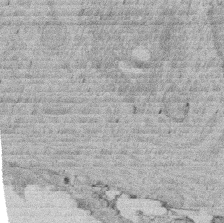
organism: Rat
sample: Salivary granule